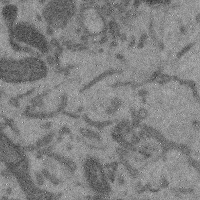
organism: Mouse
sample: Cerebral cortex